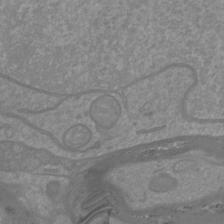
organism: Mouse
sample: Cortical neurons